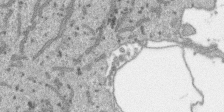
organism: Human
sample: Lung epithelial cells infected with SARS-CoV-2